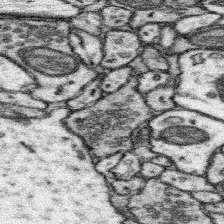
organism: Mouse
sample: Somatosensory cortex neuropil